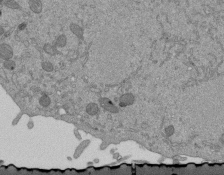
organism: Mouse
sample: ED-1 cell nuclei; centrioles